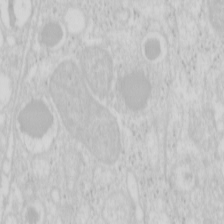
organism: Mouse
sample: Pancreas